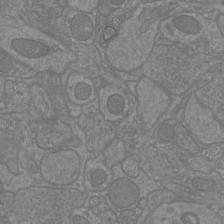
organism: Mouse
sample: Cortical neurons